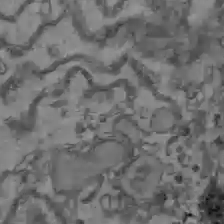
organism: C57BL Mouse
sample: Liver